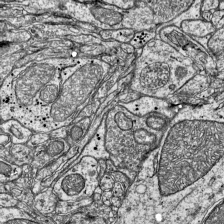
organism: Mouse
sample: Visual Cortex